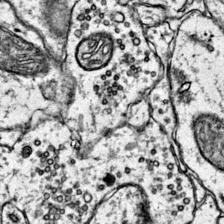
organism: Mouse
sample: Primary visual cortex